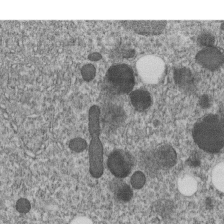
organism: C. elegans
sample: C. elegans embryo early stage